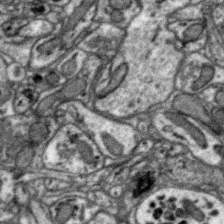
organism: Zebra finch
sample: Brain